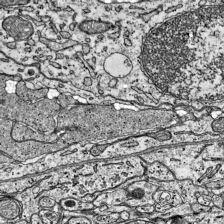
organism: Mouse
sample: Visual Cortex